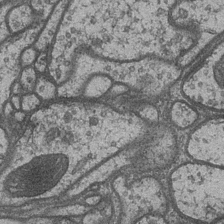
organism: Drosophila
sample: Optic medulla